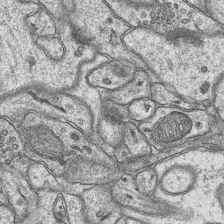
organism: Mouse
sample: CA1 Hippocampus